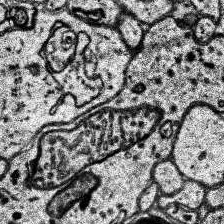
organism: Human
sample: Temporal Lobe